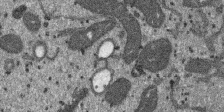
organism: Human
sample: Lung epithelial cells infected with SARS-CoV-2